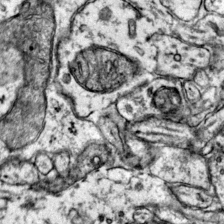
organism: Mouse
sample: Primary visual cortex